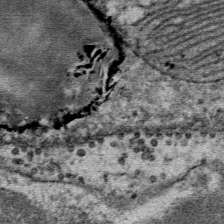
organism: Mouse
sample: Mouse Salivary gland